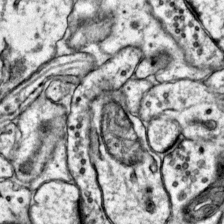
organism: Mouse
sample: Primary visual cortex